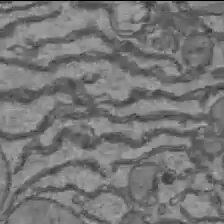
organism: C57BL Mouse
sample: Liver